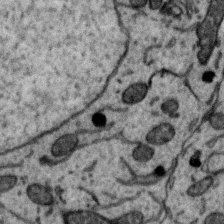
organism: Zebra finch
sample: Brain